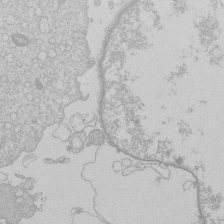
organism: Human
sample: Macrophage cells